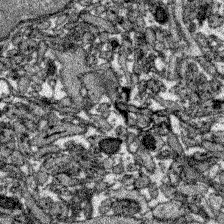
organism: Zebrafish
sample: Larval olfactory bulb